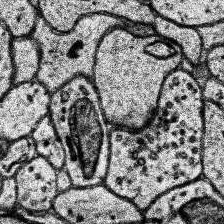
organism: Human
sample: Temporal Lobe